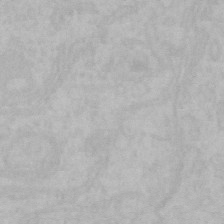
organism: Mouse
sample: Choroid plexus